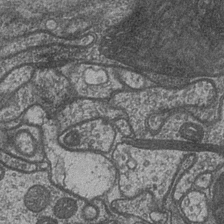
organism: Drosophila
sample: Optic medulla